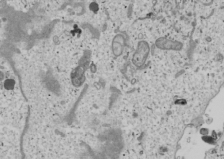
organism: Human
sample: Mitochondria in U2OS cells